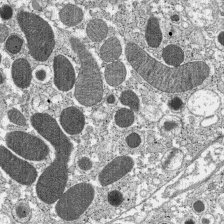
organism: C57BL Mouse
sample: Pancreatic islet